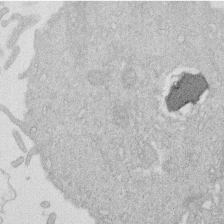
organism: Human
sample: Macrophage cells